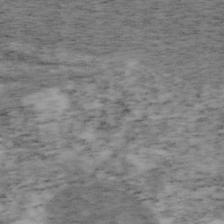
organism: Mouse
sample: OT-I killer T cells with ID8 ovarian cancer cells